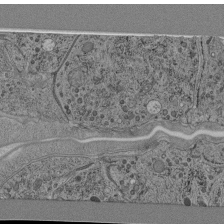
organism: C. elegans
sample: C. elegans pharynx